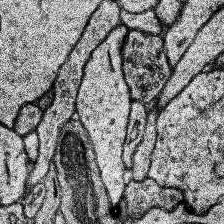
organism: Human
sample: Temporal Lobe